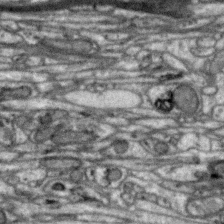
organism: Zebra finch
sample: Brain